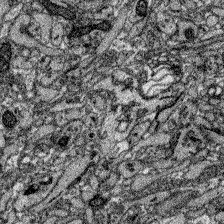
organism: Zebrafish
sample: Larval olfactory bulb